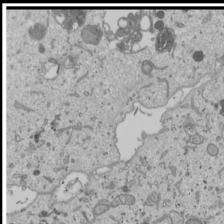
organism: Human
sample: Mitochondria in U2OS cells